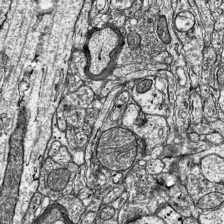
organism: Mouse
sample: Visual Cortex